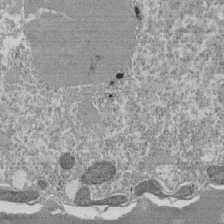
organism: Tetrahymena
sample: Cilia in tetrahymena